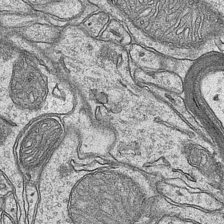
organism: Mouse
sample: CA1 Hippocampus